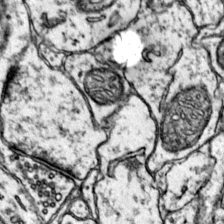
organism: Mouse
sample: Primary visual cortex